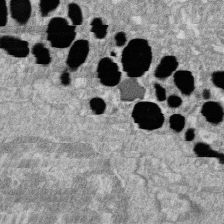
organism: Zebrafish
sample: Cilia; retinal pigment epithelium